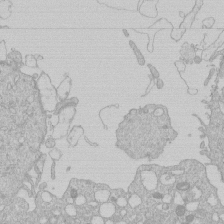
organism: Human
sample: Macrophage cells